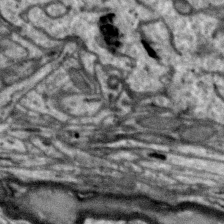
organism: Zebra finch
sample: Brain